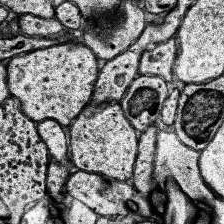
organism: Human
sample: Temporal Lobe